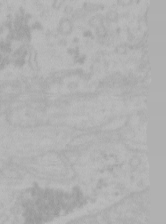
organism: Mouse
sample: Choroid plexus